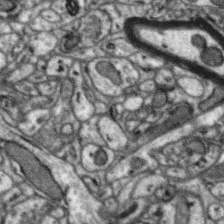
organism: Zebra finch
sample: Brain